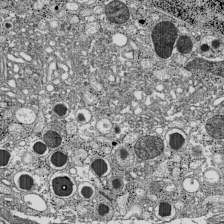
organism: C57BL Mouse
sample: Pancreatic islet